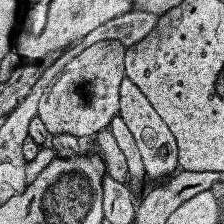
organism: Human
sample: Temporal Lobe